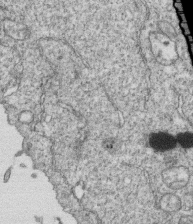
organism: Human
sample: HeLa cell HIV synapse